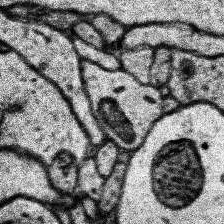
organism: Human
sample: Temporal Lobe